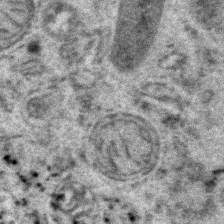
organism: Zebrafish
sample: Zebrafish embryo